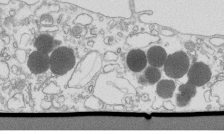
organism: Mouse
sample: Macrophages